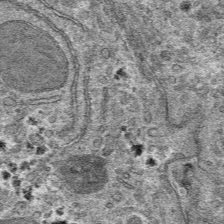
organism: Mouse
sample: Mouse hepatocytes